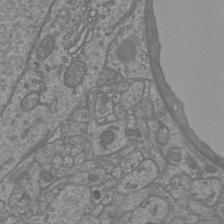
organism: Mouse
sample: Cortical neurons